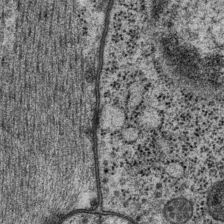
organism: P. pacificus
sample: Pharynx